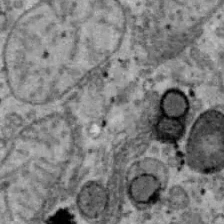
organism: Mouse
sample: Liver from an obese (ob/ob) mouse